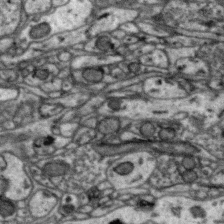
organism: Zebra finch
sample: Brain